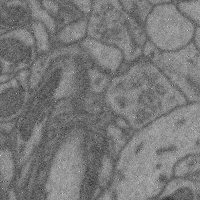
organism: Mouse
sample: Cerebral cortex